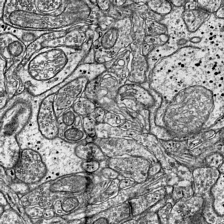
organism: Mouse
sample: Visual Cortex